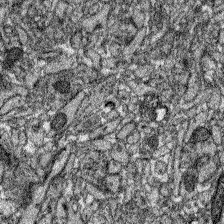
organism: Zebrafish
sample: Larval olfactory bulb